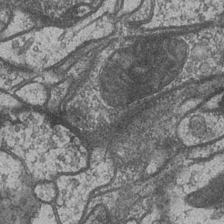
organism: Drosophila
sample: Optic medulla